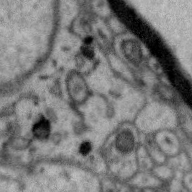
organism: Zebra finch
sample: Brain